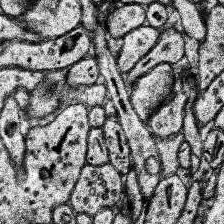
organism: Human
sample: Temporal Lobe